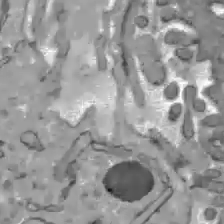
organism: C57BL Mouse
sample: Liver